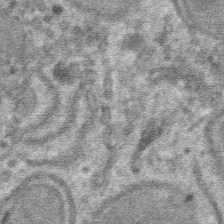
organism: Mouse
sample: Mouse hepatocytes